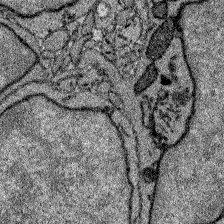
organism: Zebrafish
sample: Larval olfactory bulb